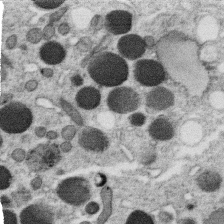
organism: C. elegans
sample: C. elegans oocyte; sperm cells